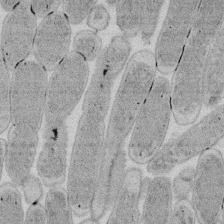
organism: E. coli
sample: Bacterial nucleoid